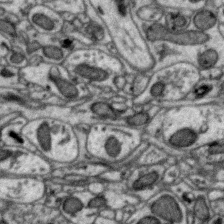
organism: Zebra finch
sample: Brain